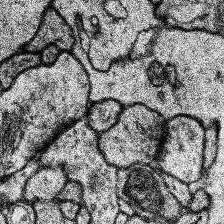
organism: Human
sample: Temporal Lobe